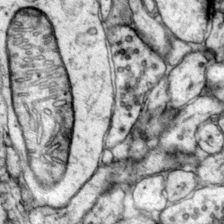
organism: Mouse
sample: Primary visual cortex